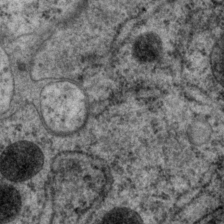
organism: P. pacificus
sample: Pharynx